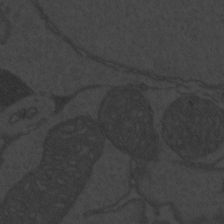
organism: Zebrafish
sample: Macrophage infected with Toxoplasma gondii